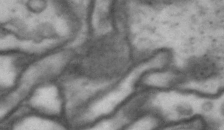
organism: Drosophila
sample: Brain